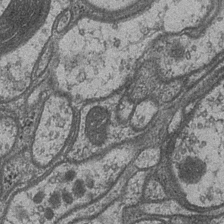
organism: Drosophila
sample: Optic medulla